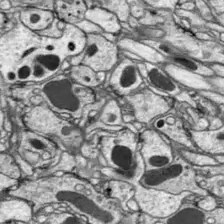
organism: Drosophila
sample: Optic lobe